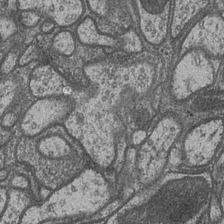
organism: Drosophila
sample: Optic medulla